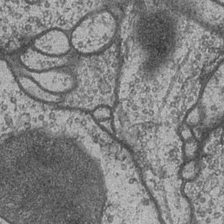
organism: Drosophila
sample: Optic medulla